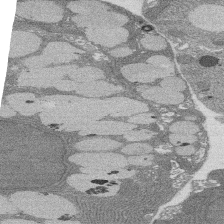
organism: Rat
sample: Salivary granule